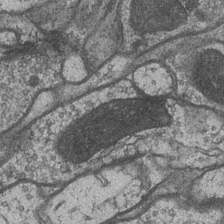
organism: Drosophila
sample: Optic medulla